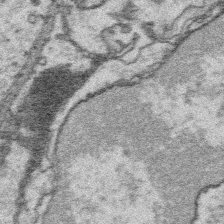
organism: Platynereis dumerilii